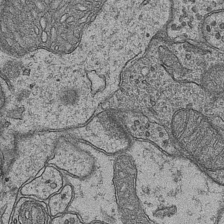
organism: Mouse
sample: CA1 Hippocampus